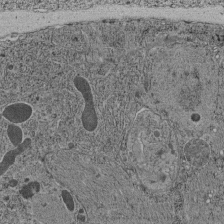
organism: C. elegans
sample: C. elegans pharynx